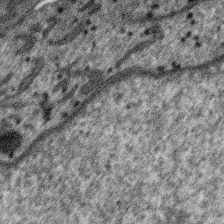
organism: Human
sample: Lung epithelial cells infected with SARS-CoV-2